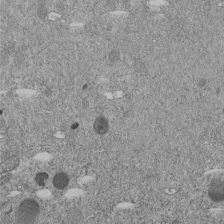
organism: C. elegans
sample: C. elegans embryo early stage